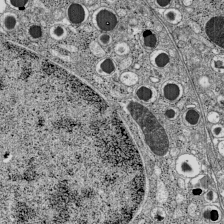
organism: C57BL Mouse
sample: Pancreatic islet